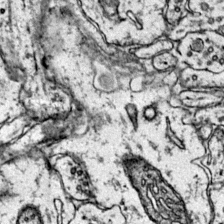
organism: Mouse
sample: Primary visual cortex